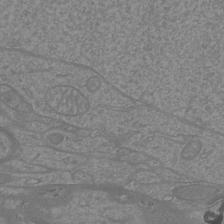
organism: Mouse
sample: Cortical neurons